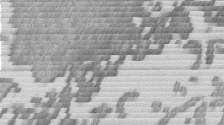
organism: Mouse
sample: Dividing mouse embryo 1 cell stage